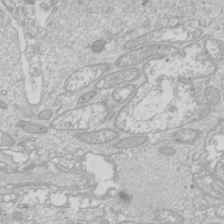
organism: Drosophila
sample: Cell division; meiosis; drosophila spermatocytes